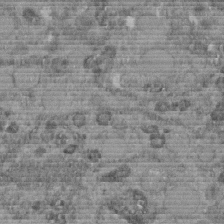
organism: C. elegans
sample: C. elegans embryo early stage